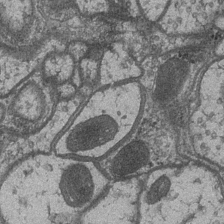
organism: Drosophila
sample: Optic medulla